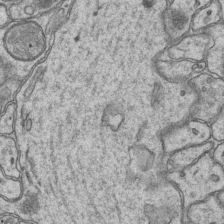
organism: Mouse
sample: CA1 Hippocampus